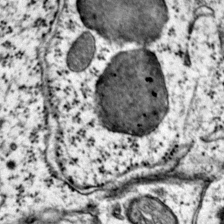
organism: Mouse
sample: Primary visual cortex